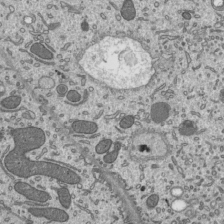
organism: Mouse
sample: Mouse epididymis efferent ductule cilia